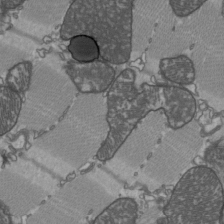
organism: C57BL Mouse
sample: Heart